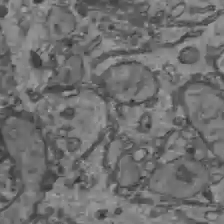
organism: C57BL Mouse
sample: Liver